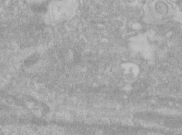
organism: Human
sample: Centriole in RPE cells